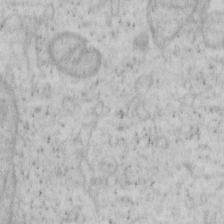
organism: Human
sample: HeLa cells